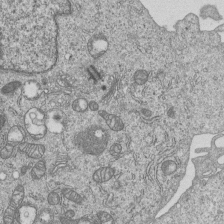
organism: Human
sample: MDA-MB-231 cells